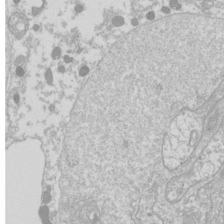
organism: Drosophila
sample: Cell division; meiosis; drosophila spermatocytes